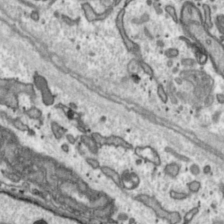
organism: Toxoplasma gondii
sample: Parasites in a vacuole inside a host cell